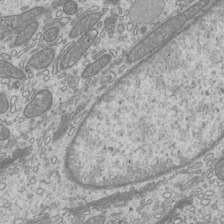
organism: Mouse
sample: Cilia; mouse epididymis